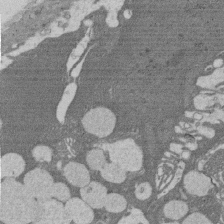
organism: Rat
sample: Salivary granule